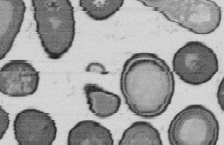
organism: B. subtilis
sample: Bacterial spore